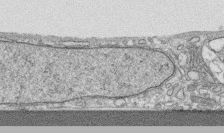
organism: Human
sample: CRL-1474